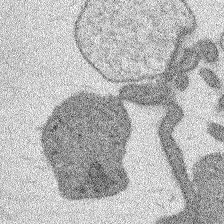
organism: Human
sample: HeLa cells